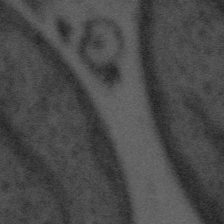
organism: Tuwongella immobilis